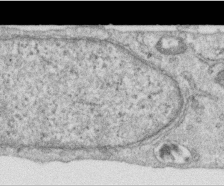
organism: Human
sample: Centriole in RPE cells